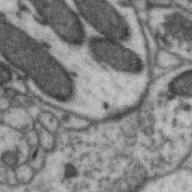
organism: Zebra finch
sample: Brain